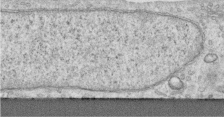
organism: Human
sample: Centriole in RPE cells